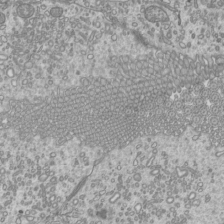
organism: Mouse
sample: Cilia; mouse epididymis